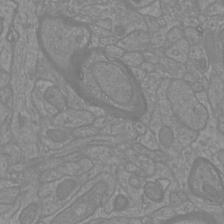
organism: Mouse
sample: Cortical neurons